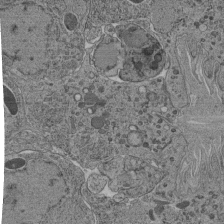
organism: C. elegans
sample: C. elegans pharynx